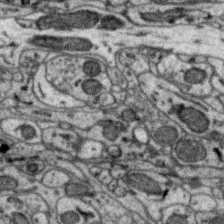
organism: Zebra finch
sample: Brain